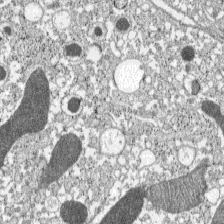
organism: C57BL Mouse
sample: Pancreatic islet